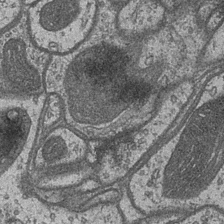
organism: Drosophila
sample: Optic medulla